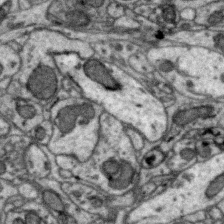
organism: Zebra finch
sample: Brain